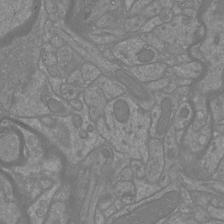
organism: Mouse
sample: Cortical neurons